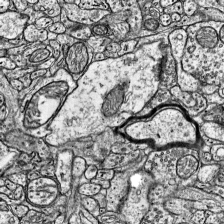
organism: Mouse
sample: Visual Cortex